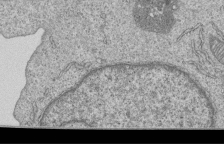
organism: Human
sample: MDA-MB-231 cells